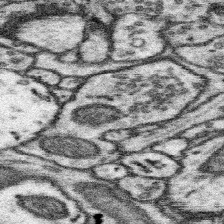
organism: Mouse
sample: Somatosensory cortex neuropil